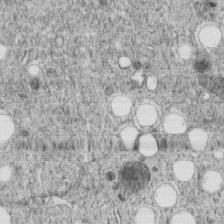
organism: C. elegans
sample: C. elegans embryo early stage